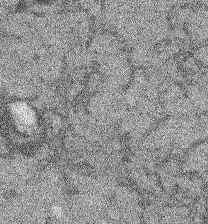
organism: Human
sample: HeLa cells